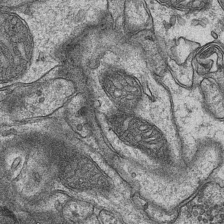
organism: Mouse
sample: CA1 Hippocampus